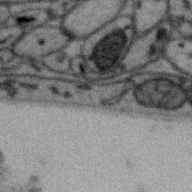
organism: Zebra finch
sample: Brain